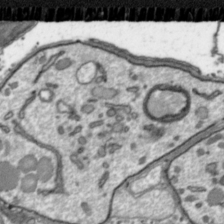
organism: Toxoplasma gondii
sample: Parasites in a vacuole inside a host cell